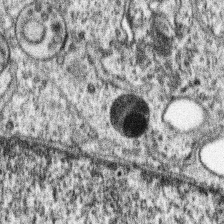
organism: Human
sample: HeLa cells